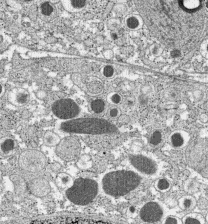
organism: C57BL Mouse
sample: Pancreatic islet